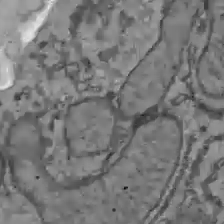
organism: C57BL Mouse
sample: Liver